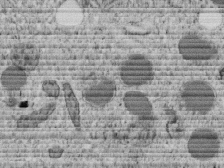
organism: C. elegans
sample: C. elegans embryo early stage